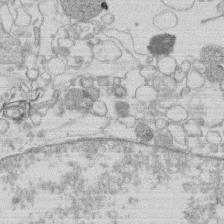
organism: Human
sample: Macrophage cells